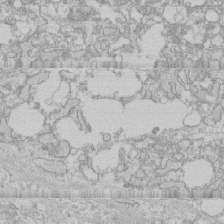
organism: Human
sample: CRL-1474